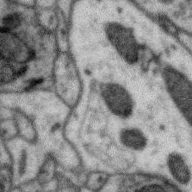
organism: Zebra finch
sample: Brain